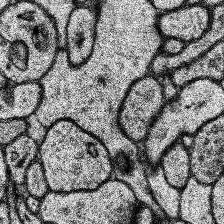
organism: Human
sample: Temporal Lobe